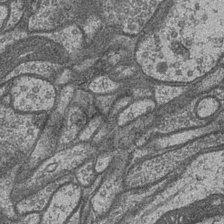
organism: Drosophila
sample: Optic medulla